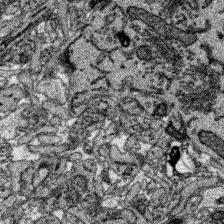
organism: Zebrafish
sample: Larval olfactory bulb